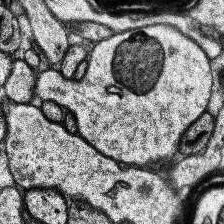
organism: Human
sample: Temporal Lobe